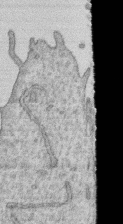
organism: Human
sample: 1205lu cells